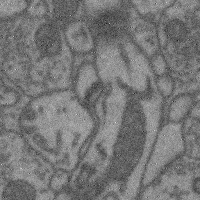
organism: Mouse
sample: Cerebral cortex